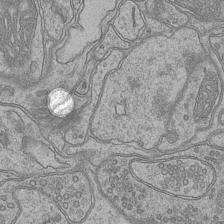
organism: Mouse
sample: CA1 Hippocampus